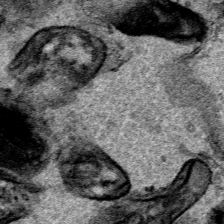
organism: Human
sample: Mitochondria in HCT116 cells